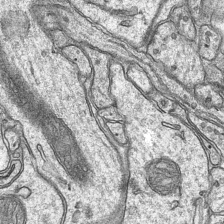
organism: Mouse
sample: CA1 Hippocampus